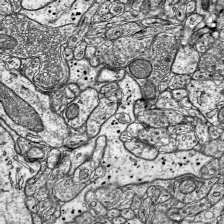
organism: Mouse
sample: Visual Cortex